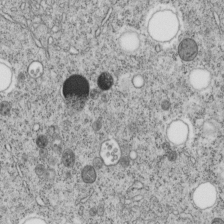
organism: C. elegans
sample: C. elegans embryo early stage